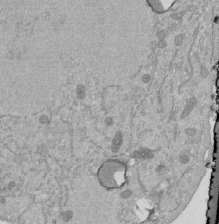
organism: Mouse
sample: ED-1 cell nuclei; centrioles